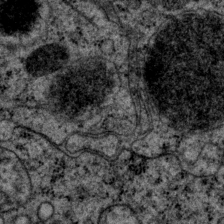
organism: P. pacificus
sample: Pharynx